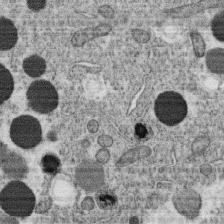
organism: C. elegans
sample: C. elegans oocyte; sperm cells